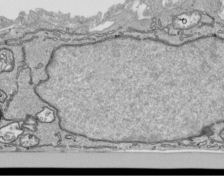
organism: Human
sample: Mitochondria in HCT116 cells